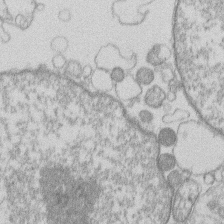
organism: Human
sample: Macrophage cells